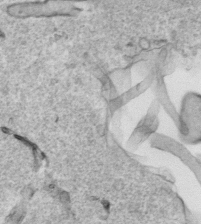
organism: Human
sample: Mitochondria in HCT116 cells